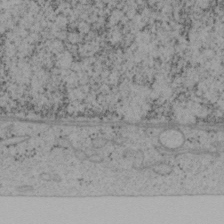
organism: Human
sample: HeLa cells